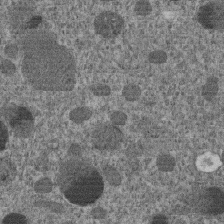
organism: C. elegans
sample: C. elegans embryo early stage